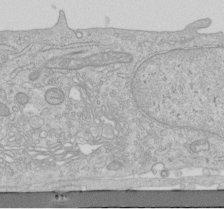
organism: Human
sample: Centriole in RPE cells